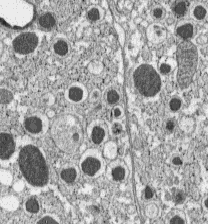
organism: C57BL Mouse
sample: Pancreatic islet